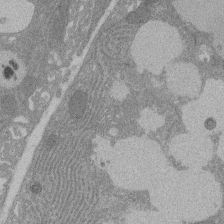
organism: Rat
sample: Salivary granule